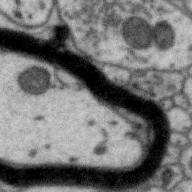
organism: Zebra finch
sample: Brain